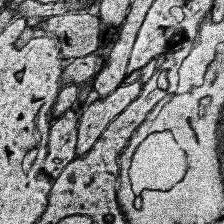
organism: Human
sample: Temporal Lobe